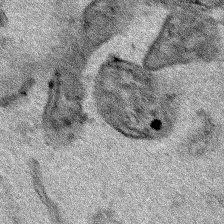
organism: Human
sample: Mitochondria in HCT116 cells